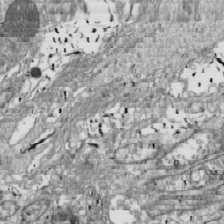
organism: Drosophila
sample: Cell division; meiosis; drosophila spermatocytes